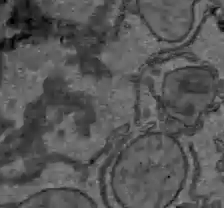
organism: C57BL Mouse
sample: Liver